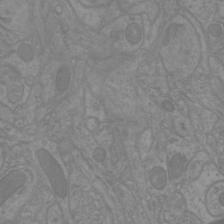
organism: Mouse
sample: Cortical neurons